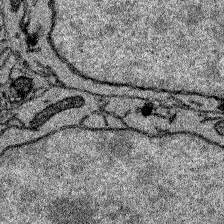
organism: Zebrafish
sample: Larval olfactory bulb